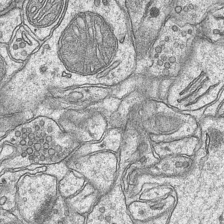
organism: Mouse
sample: CA1 Hippocampus